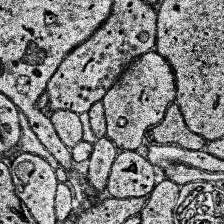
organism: Human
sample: Temporal Lobe